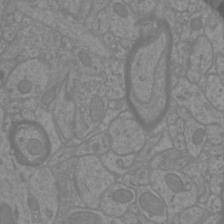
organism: Mouse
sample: Cortical neurons